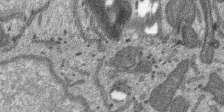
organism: Human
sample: Lung epithelial cells infected with SARS-CoV-2